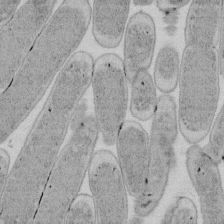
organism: E. coli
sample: Bacterial nucleoid